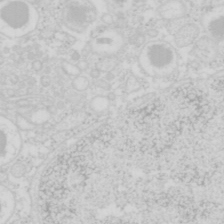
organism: Mouse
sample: Pancreas